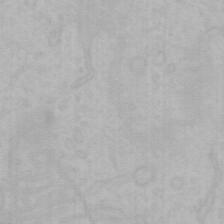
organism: Mouse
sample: Choroid plexus